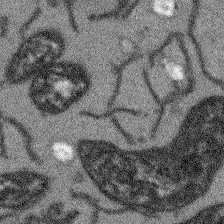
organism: Arabidopsis thaliana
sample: Root tip